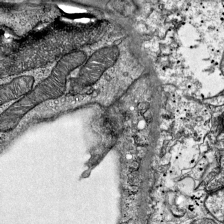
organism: Mouse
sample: Visual Cortex